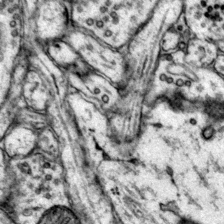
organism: Mouse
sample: Primary visual cortex